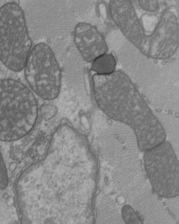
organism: C57BL Mouse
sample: Heart